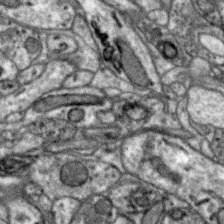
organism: Zebra finch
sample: Brain